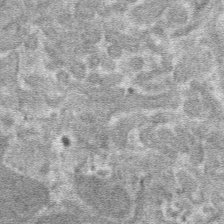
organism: Mouse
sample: Mouse hepatocytes